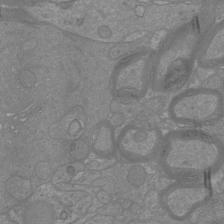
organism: Mouse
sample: Cortical neurons